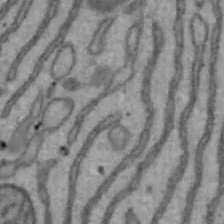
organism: Mouse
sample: Liver